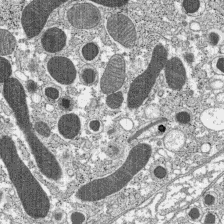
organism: C57BL Mouse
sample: Pancreatic islet